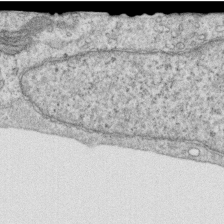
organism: Human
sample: Centriole in RPE cells